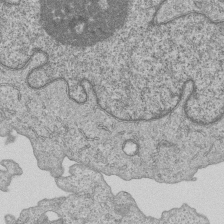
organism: Human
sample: MDA-MB-231 cells